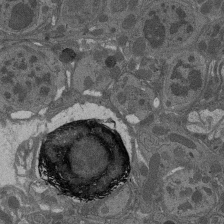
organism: Drosophila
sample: Antenna